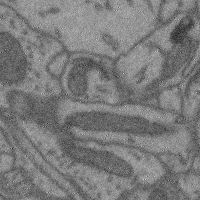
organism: Mouse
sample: Cerebral cortex